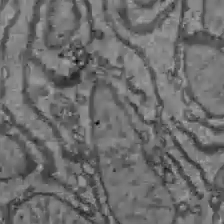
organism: C57BL Mouse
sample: Liver